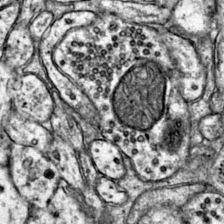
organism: Mouse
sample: Primary visual cortex